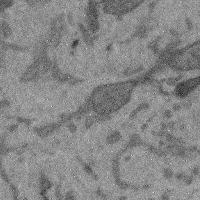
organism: Mouse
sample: Cerebral cortex